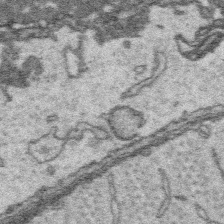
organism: Platynereis dumerilii